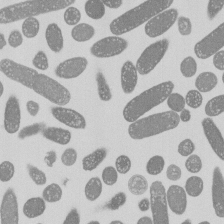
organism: E. coli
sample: Bacterial nucleoid